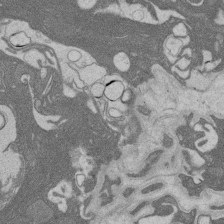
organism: Rat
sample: Salivary granule